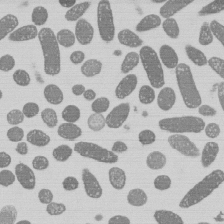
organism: E. coli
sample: Bacterial nucleoid